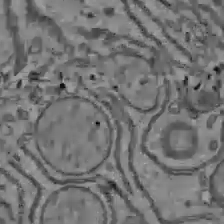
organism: C57BL Mouse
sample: Liver